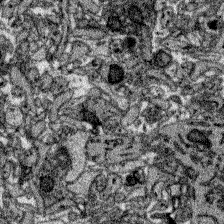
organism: Zebrafish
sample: Larval olfactory bulb